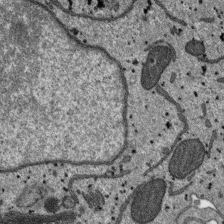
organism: Human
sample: Lung epithelial cells, uninfected (mock) control